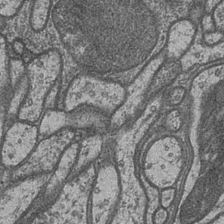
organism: Drosophila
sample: Optic medulla